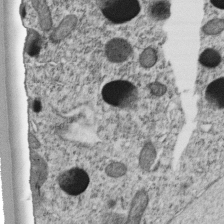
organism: C. elegans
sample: C. elegans embryo early stage